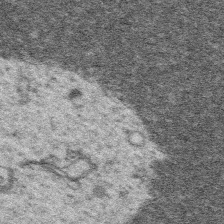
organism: Platynereis dumerilii